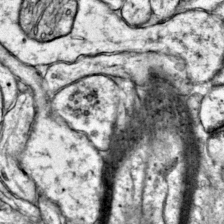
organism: Mouse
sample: Primary visual cortex